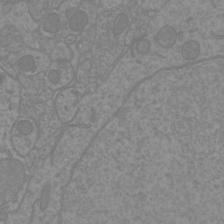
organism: Mouse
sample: Cortical neurons